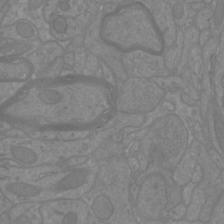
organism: Mouse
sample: Cortical neurons